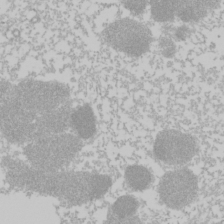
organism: Mouse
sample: Cancer cell death in ED-1 cells